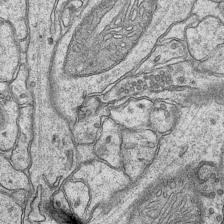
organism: Mouse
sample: CA1 Hippocampus